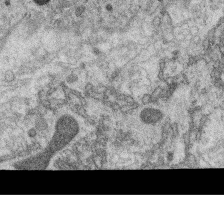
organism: C. elegans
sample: C. elegans oocyte; sperm cells